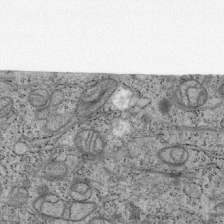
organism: Human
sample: HeLa cells